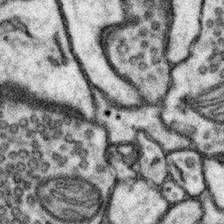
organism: Mouse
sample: Somatosensory cortex neuropil